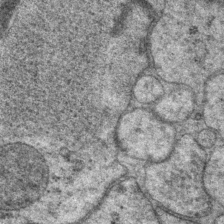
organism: P. pacificus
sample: Pharynx